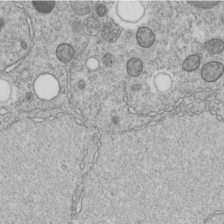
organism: C. elegans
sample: C. elegans embryo early stage